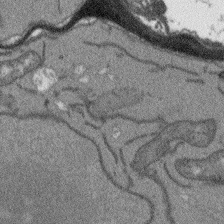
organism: Arabidopsis thaliana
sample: Root tip